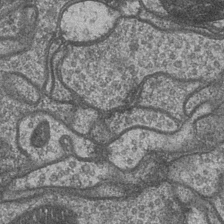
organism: Drosophila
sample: Optic medulla